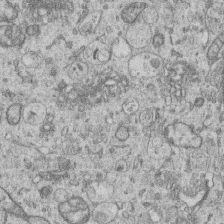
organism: Human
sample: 1205lu cells